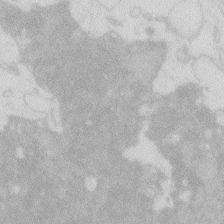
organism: Zebrafish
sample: Macrophage